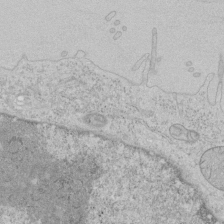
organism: Human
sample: Mitochondria in HCT116 cells